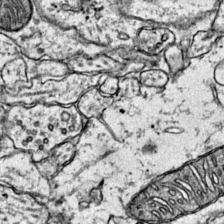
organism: Mouse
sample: Primary visual cortex